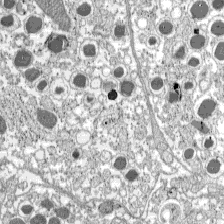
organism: C57BL Mouse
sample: Pancreatic islet